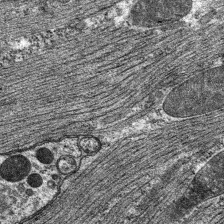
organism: C. elegans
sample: Pharynx